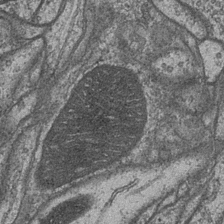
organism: Drosophila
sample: Optic medulla